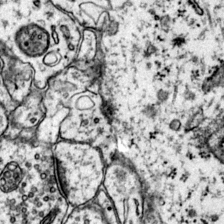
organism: Mouse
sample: Primary visual cortex